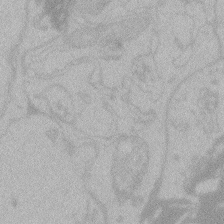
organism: Zebrafish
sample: Macrophage infected with Toxoplasma gondii